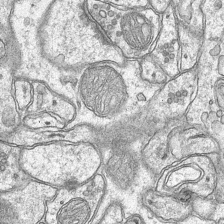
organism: Mouse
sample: CA1 Hippocampus